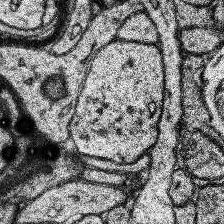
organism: Human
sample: Temporal Lobe